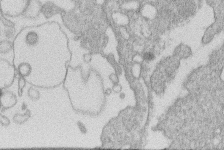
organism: Human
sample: Macrophage cells